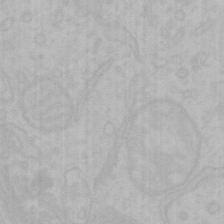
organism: Mouse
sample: Choroid plexus